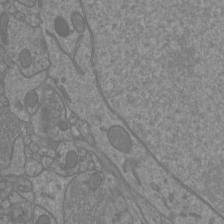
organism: Mouse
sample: Cortical neurons